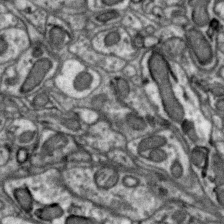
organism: Zebra finch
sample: Brain